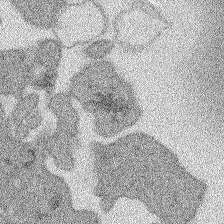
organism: Human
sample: HeLa cells